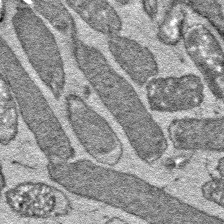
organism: E. coli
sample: E. Coli Bacteria